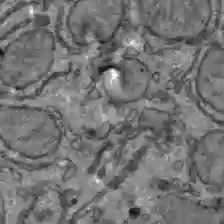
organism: C57BL Mouse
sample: Liver